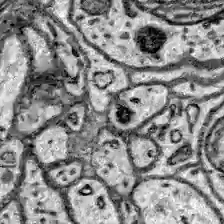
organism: Zebrafish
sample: Brain